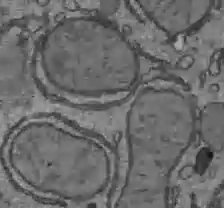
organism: C57BL Mouse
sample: Liver